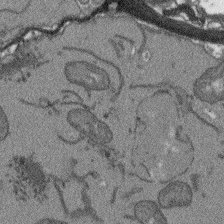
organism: Arabidopsis thaliana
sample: Root tip